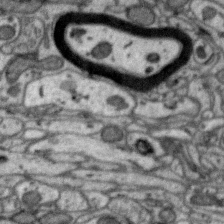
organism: Zebra finch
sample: Brain